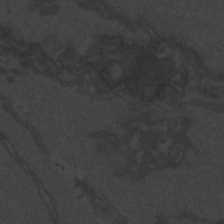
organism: Zebrafish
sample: Macrophage infected with Toxoplasma gondii